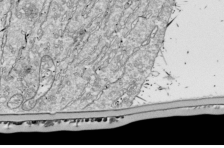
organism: Drosophila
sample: Cell division; meiosis; drosophila spermatocytes